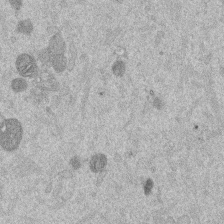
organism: Mouse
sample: Dividing mouse embryo 1 cell stage